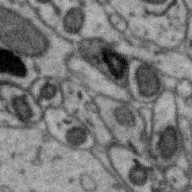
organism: Zebra finch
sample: Brain